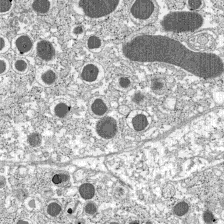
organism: C57BL Mouse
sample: Pancreatic islet